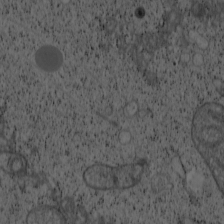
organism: African green monkey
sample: COS-7 cells